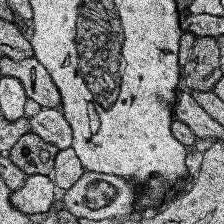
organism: Human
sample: Temporal Lobe